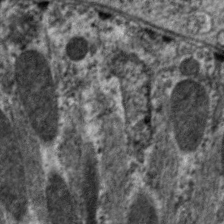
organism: C. elegans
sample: Pharynx